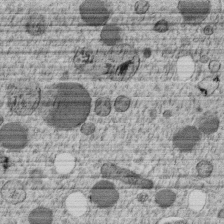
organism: C. elegans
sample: C. elegans embryo early stage